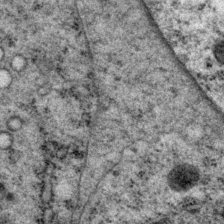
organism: P. pacificus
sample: Pharynx